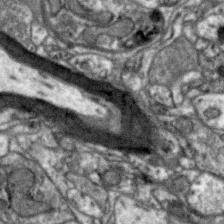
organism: Zebra finch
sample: Brain